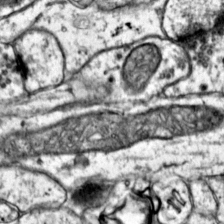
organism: Mouse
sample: Primary visual cortex